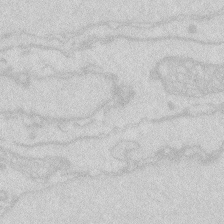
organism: Zebrafish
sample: Macrophage